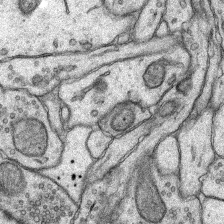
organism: Rat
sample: Hippocampus